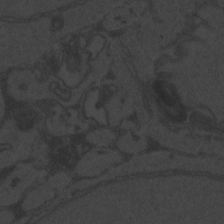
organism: Zebrafish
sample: Macrophage infected with Toxoplasma gondii